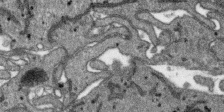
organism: Human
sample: Lung epithelial cells, uninfected (mock) control